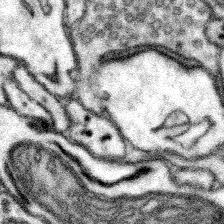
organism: Mouse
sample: Somatosensory cortex neuropil